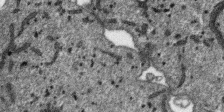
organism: Human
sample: Lung epithelial cells infected with SARS-CoV-2